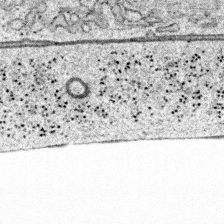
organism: Human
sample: HeLa cells